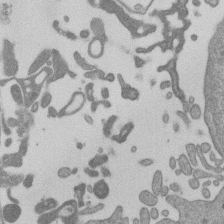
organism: Mouse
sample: Dividing mouse embryo 1 cell stage